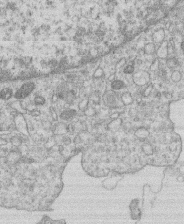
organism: Human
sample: Macrophage cells